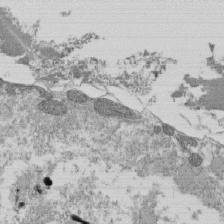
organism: Tetrahymena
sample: Cilia in tetrahymena